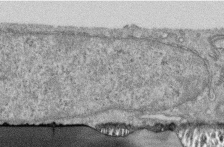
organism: Human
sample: Centriole in RPE cells